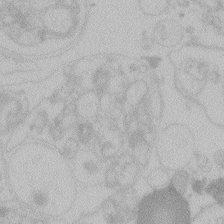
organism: Zebrafish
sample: Macrophage infected with Toxoplasma gondii